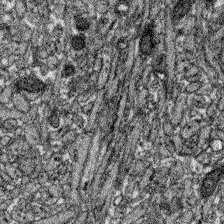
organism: Zebrafish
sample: Larval olfactory bulb